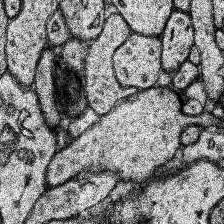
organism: Human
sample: Temporal Lobe